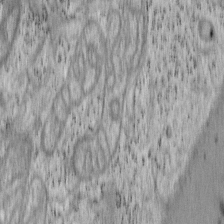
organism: Human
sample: HeLa cells